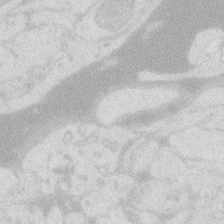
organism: Zebrafish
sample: Macrophage